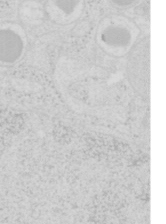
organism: Mouse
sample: Pancreas